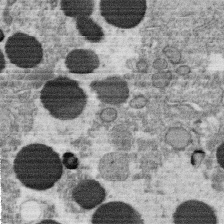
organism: C. elegans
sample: C. elegans oocyte; sperm cells